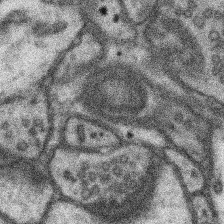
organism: Mouse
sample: Somatosensory cortex neuropil